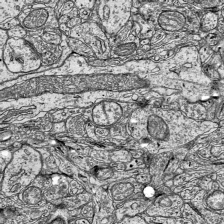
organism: Mouse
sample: Visual Cortex